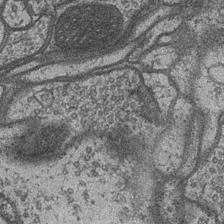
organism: Drosophila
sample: Optic medulla